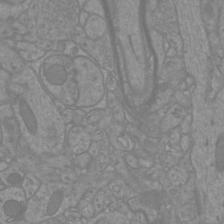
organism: Mouse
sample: Cortical neurons